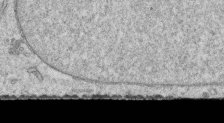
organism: Human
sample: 1205lu cells